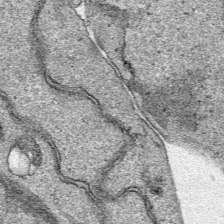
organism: Human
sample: Mitochondria in HCT116 cells